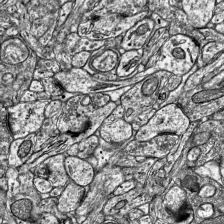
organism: Mouse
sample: Visual Cortex